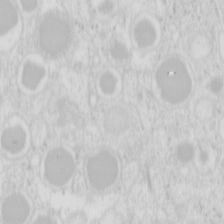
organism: Mouse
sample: Pancreas